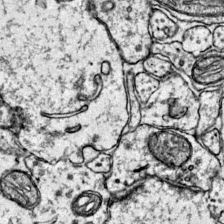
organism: Mouse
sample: Primary visual cortex